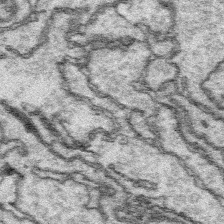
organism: Platynereis dumerilii